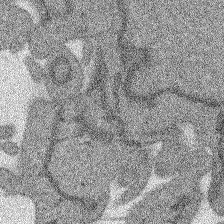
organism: Human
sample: HeLa cells